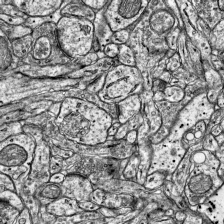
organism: Mouse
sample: Visual Cortex